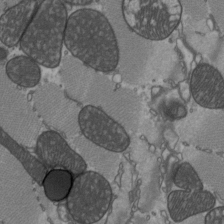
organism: C57BL Mouse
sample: Heart